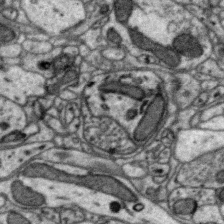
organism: Zebra finch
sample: Brain